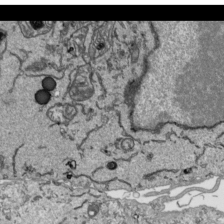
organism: Human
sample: Mitochondria in HCT116 cells